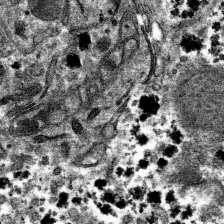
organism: Mouse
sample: Mouse hepatocytes